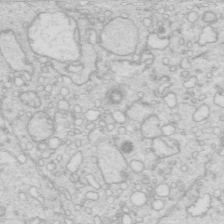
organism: Mouse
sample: Multiciliated cells